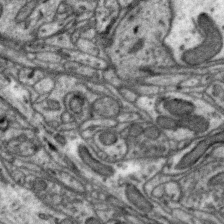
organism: Zebra finch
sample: Brain